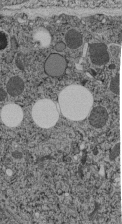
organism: C. elegans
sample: C. elegans pharynx